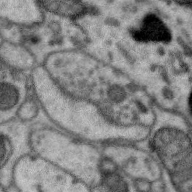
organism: Zebra finch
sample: Brain